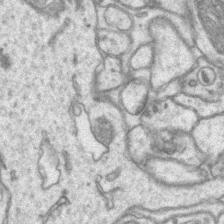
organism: Mouse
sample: CA1 Hippocampus